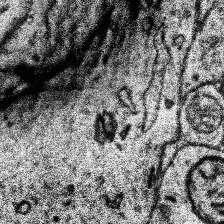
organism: Human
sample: Temporal Lobe